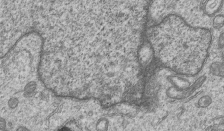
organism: Human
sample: MDA-MB-231 cells